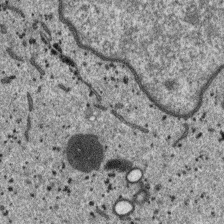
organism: Human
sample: Lung epithelial cells infected with SARS-CoV-2